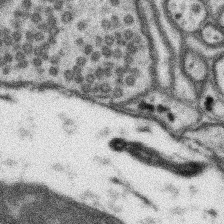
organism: Mouse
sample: Somatosensory cortex neuropil